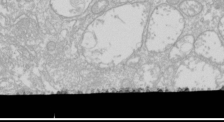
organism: Drosophila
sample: Cell division; meiosis; drosophila spermatocytes